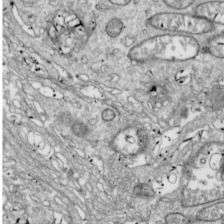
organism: Drosophila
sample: Cell division; meiosis; drosophila spermatocytes